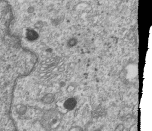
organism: Human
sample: MDA-MB-231 cells